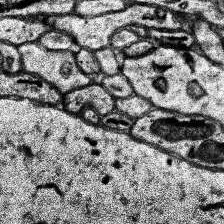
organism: Human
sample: Temporal Lobe